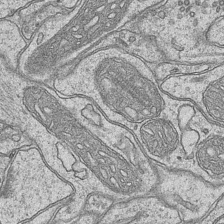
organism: Mouse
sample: CA1 Hippocampus